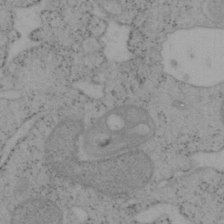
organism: Mouse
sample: OT-I killer T cells with ID8 ovarian cancer cells